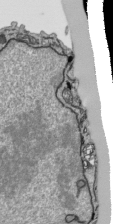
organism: Human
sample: Mitochondria in HCT116 cells